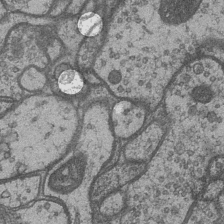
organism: Drosophila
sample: Optic medulla